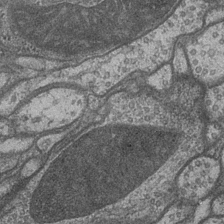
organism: Drosophila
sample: Optic medulla